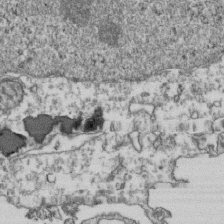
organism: Human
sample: Activated Jurkat CD4+ T cells